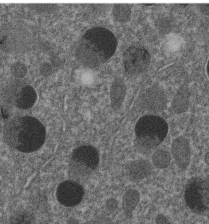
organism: C. elegans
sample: C. elegans embryo early stage